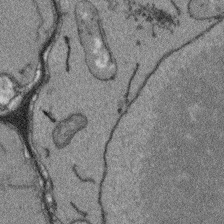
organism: Arabidopsis thaliana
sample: Root tip